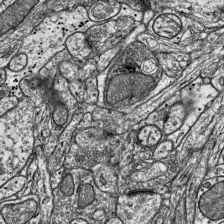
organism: Mouse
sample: Visual Cortex